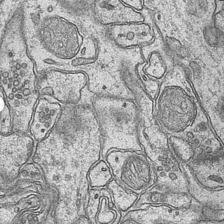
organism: Mouse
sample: CA1 Hippocampus